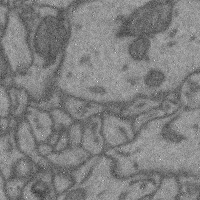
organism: Mouse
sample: Cerebral cortex